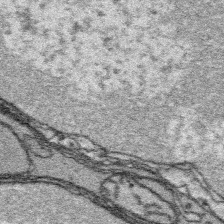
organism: Platynereis dumerilii